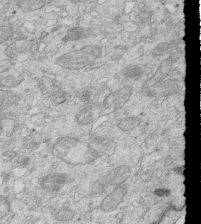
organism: Mouse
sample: Multiciliated cells